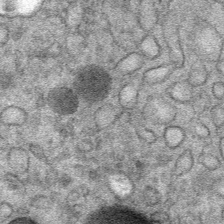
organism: Mouse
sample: Mouse Salivary gland